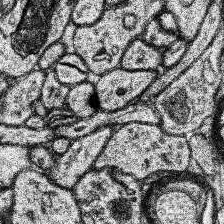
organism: Human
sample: Temporal Lobe